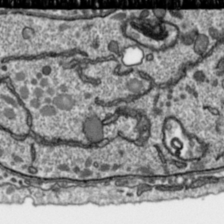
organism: Toxoplasma gondii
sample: Parasites in a vacuole inside a host cell